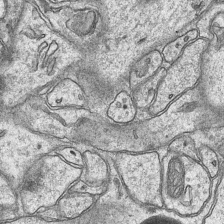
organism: Mouse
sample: CA1 Hippocampus